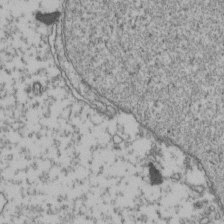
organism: Human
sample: Activated Jurkat CD4+ T cells